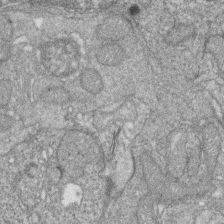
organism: Zebrafish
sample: Cilia; retinal pigment epithelium